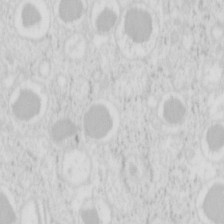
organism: Mouse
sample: Pancreas